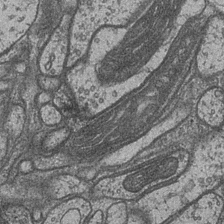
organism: Drosophila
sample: Optic medulla